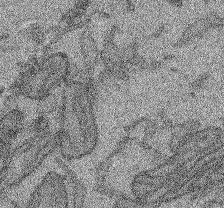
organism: Human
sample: HeLa cells